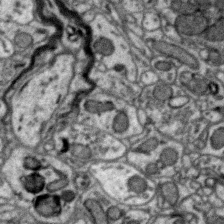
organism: Zebra finch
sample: Brain